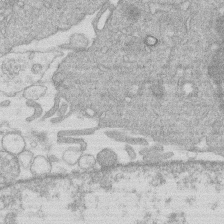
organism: Human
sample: Macrophage cells